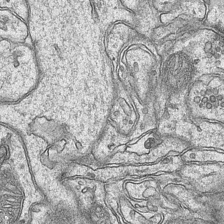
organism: Mouse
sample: CA1 Hippocampus